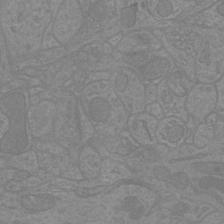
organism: Mouse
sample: Cortical neurons